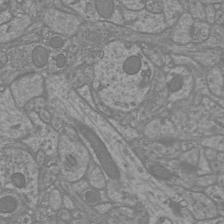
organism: Mouse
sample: Cortical neurons